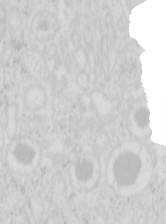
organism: Mouse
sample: Pancreas